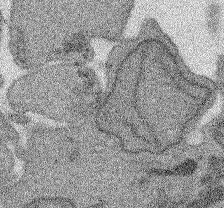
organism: Human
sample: HeLa cells